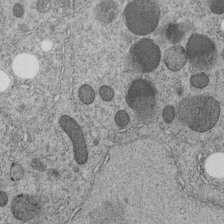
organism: C. elegans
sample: C. elegans embryo early stage